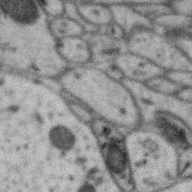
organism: Zebra finch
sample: Brain